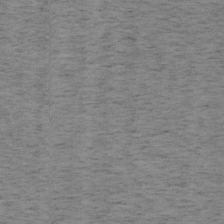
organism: Mouse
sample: OT-I killer T cells with ID8 ovarian cancer cells